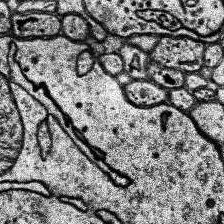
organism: Human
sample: Temporal Lobe